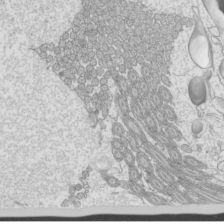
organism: Mouse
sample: Cilia; mouse epididymis